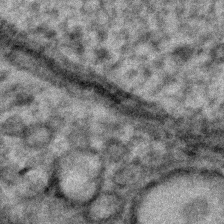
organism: C. elegans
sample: C. elegans embryo